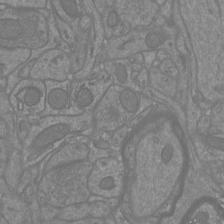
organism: Mouse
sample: Cortical neurons